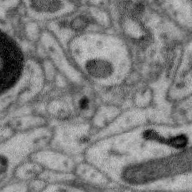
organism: Zebra finch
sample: Brain